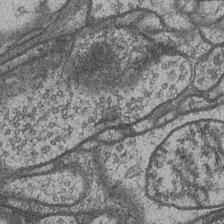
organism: Drosophila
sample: Optic medulla